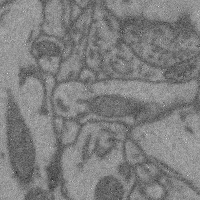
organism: Mouse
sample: Cerebral cortex